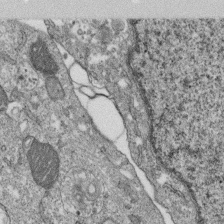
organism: African green monkey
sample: Vero E6 cells infected with SARS-CoV-2